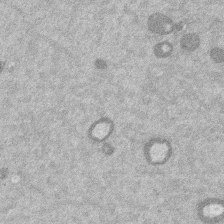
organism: Mouse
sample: Dividing mouse embryo 1 cell stage